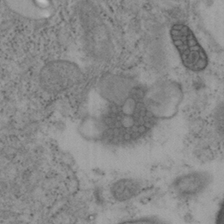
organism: Mouse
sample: OT-I killer T cells with ID8 ovarian cancer cells